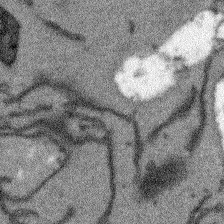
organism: Arabidopsis thaliana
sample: Root tip